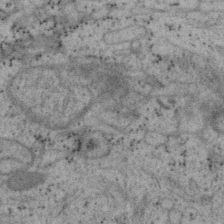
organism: Human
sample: HeLa cells